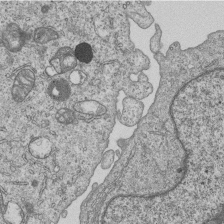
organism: Human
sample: MDA-MB-231 cells